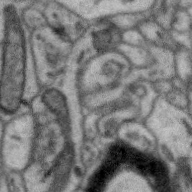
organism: Zebra finch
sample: Brain